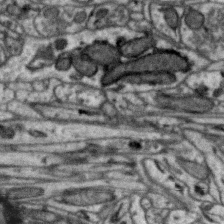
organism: Zebra finch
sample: Brain